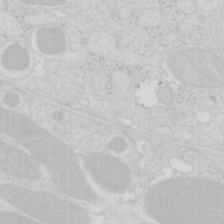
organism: Mouse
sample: Pancreas